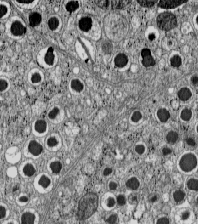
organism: C57BL Mouse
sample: Pancreatic islet